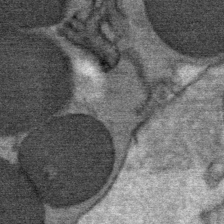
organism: Mouse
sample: Mouse Salivary gland